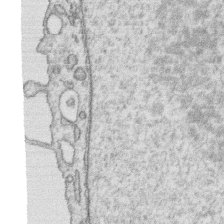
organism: Human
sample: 1205lu cells